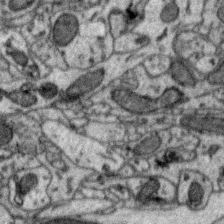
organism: Zebra finch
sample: Brain